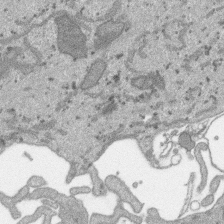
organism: Human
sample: Lung epithelial cells infected with SARS-CoV-2